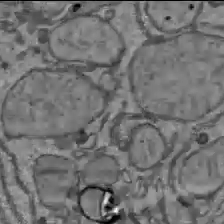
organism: C57BL Mouse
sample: Liver